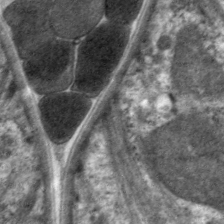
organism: C. elegans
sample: Pharynx